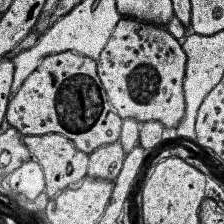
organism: Human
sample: Temporal Lobe